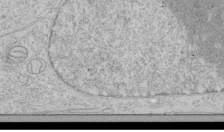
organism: Human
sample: Mitochondria in HCT116 cells